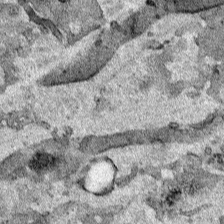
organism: Human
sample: Mitochondria in HCT116 cells